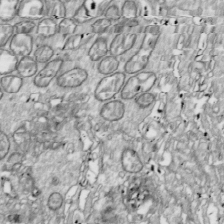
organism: Drosophila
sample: Cell division; meiosis; drosophila spermatocytes